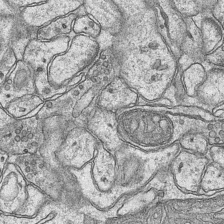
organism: Mouse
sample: CA1 Hippocampus